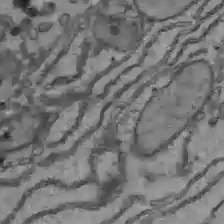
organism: C57BL Mouse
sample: Liver